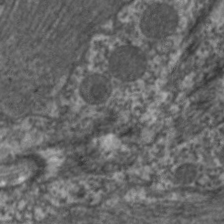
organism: C. elegans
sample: Pharynx